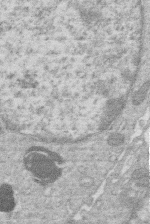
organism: Human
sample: Macrophage cells